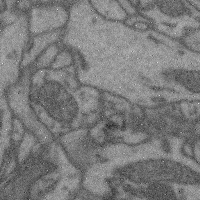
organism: Mouse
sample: Cerebral cortex